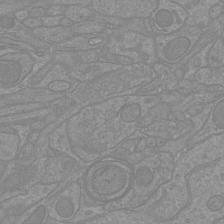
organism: Mouse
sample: Cortical neurons